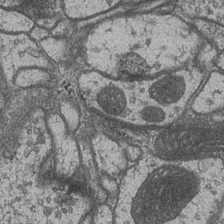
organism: Drosophila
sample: Optic medulla